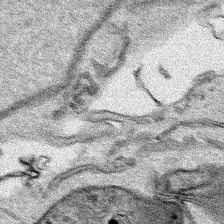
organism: Human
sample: Mitochondria in HCT116 cells